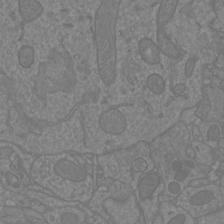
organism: Mouse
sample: Cortical neurons